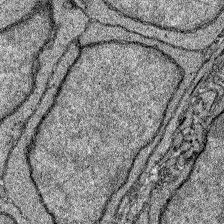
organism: Zebrafish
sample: Larval olfactory bulb